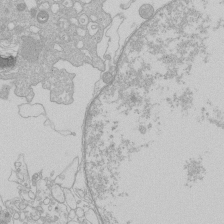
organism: Human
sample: Macrophage cells